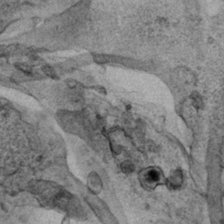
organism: Human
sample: Mitochondria in HCT116 cells